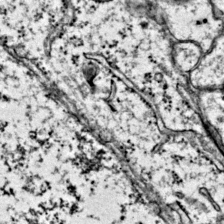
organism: Mouse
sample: Primary visual cortex